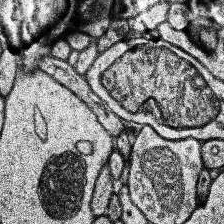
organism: Human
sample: Temporal Lobe